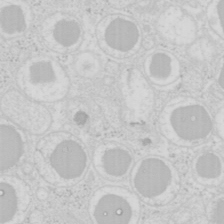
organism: Mouse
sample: Pancreas